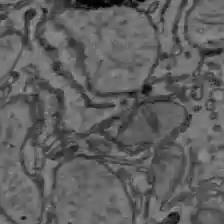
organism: C57BL Mouse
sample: Liver